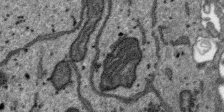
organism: Human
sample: Lung epithelial cells, uninfected (mock) control